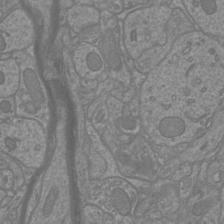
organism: Mouse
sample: Cortical neurons